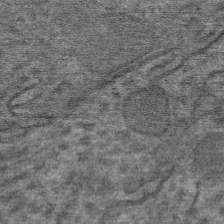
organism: Mouse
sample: Mouse Salivary gland